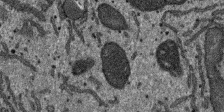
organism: Human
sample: Lung epithelial cells infected with SARS-CoV-2